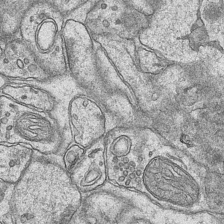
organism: Mouse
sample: CA1 Hippocampus